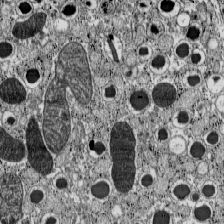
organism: C57BL Mouse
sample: Pancreatic islet